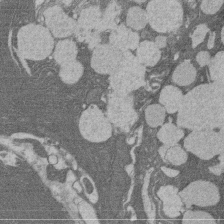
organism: Rat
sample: Salivary granule